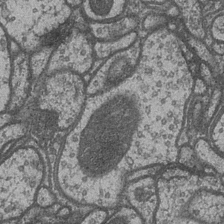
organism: Drosophila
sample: Optic medulla